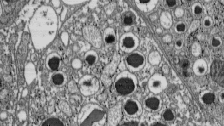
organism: C57BL Mouse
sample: Pancreatic islet